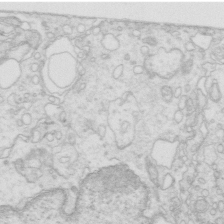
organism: Mouse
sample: Multiciliated cells